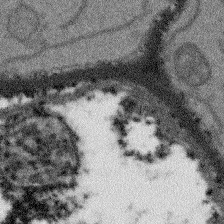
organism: Arabidopsis thaliana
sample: Root tip